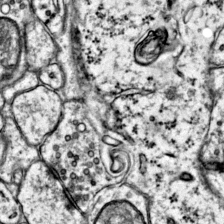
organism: Mouse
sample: Primary visual cortex